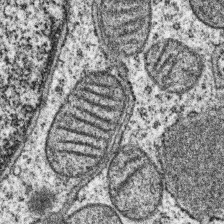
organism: Human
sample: HeLa cells